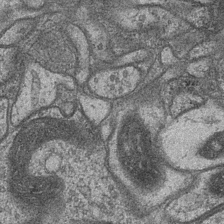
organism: Drosophila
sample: Optic medulla